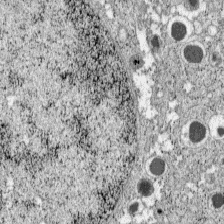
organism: C57BL Mouse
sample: Pancreatic islet